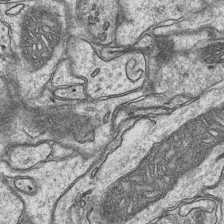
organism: Mouse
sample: CA1 Hippocampus